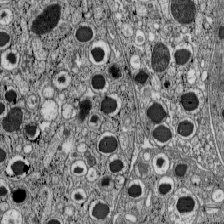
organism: C57BL Mouse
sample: Pancreatic islet